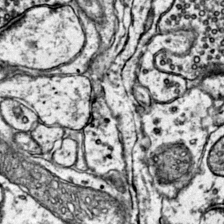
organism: Mouse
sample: Primary visual cortex